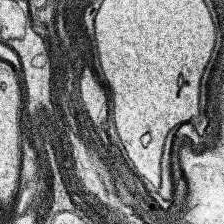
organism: Human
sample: Temporal Lobe